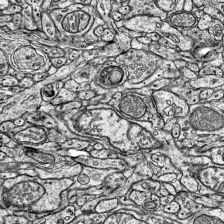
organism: Mouse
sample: Visual Cortex